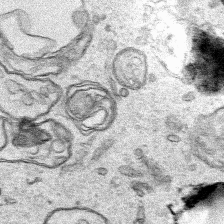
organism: Human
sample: Mitochondria in HCT116 cells